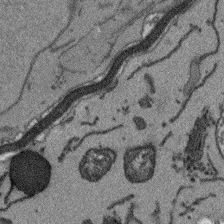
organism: Arabidopsis thaliana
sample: Root tip